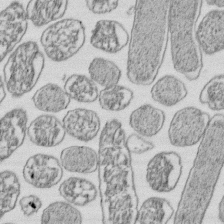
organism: E. coli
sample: Bacterial nucleoid